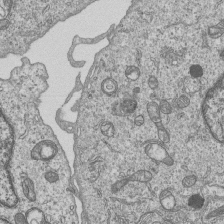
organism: Human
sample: MDA-MB-231 cells